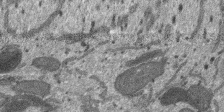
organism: Human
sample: Lung epithelial cells infected with SARS-CoV-2